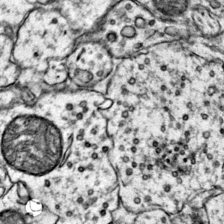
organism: Mouse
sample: Primary visual cortex